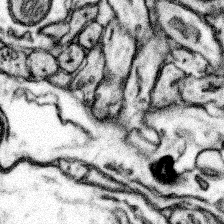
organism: Mouse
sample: Somatosensory cortex neuropil